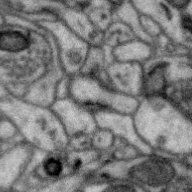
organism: Zebra finch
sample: Brain